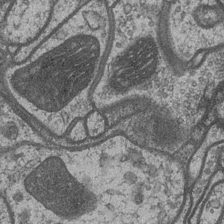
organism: Drosophila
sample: Optic medulla